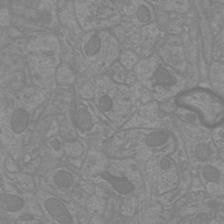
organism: Mouse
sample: Cortical neurons